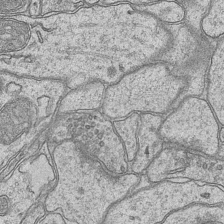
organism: Mouse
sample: CA1 Hippocampus